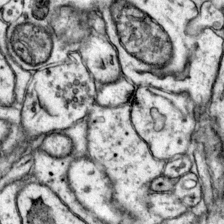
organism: Mouse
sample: Primary visual cortex